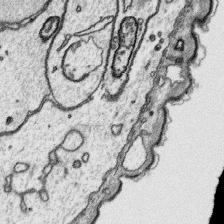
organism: Platynereis dumerilii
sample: Parapodia